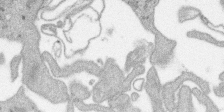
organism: Human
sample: Lung epithelial cells infected with SARS-CoV-2